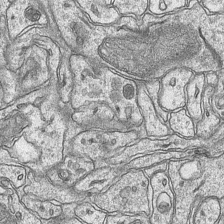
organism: Mouse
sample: CA1 Hippocampus